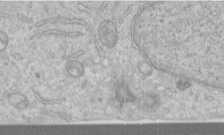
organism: Human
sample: Centriole in RPE cells